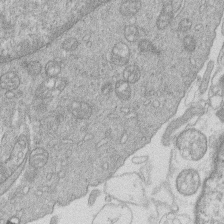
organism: Human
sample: Macrophage cells